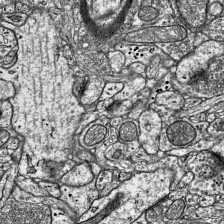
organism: Mouse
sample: Visual Cortex